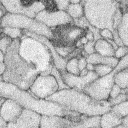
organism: Rabbit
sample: Retina